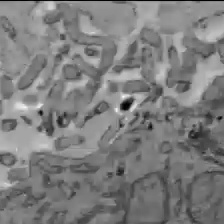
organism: C57BL Mouse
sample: Liver